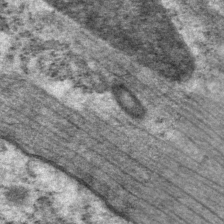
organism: P. pacificus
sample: Pharynx